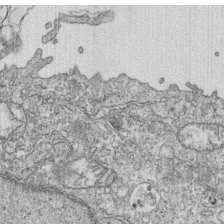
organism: Human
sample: HeLa cell HIV synapse